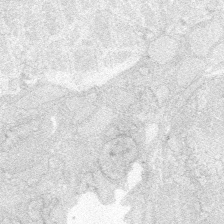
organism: Zebrafish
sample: Whole-Brain